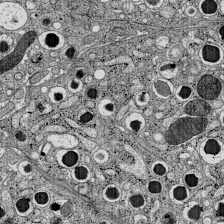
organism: C57BL Mouse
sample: Pancreatic islet